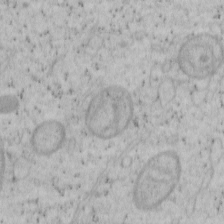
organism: Human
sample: HeLa cells